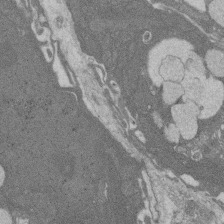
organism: Rat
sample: Salivary granule